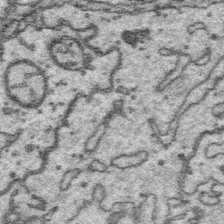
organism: Platynereis dumerilii